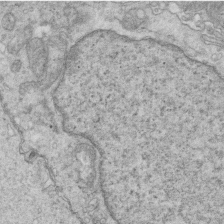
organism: Mouse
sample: Multiciliated cells